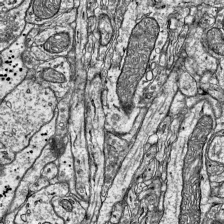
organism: Mouse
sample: Visual Cortex